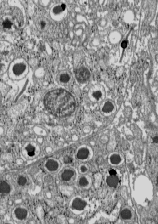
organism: C57BL Mouse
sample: Pancreatic islet